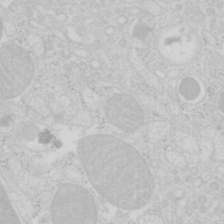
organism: Mouse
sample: Pancreas